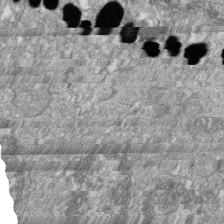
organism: Zebrafish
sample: Cilia; retinal pigment epithelium